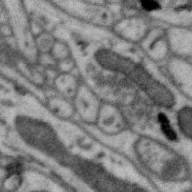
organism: Zebra finch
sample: Brain